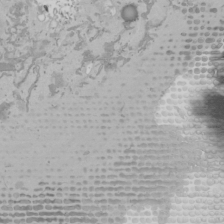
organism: Mouse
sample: Cancer cell death in ED-1 cells